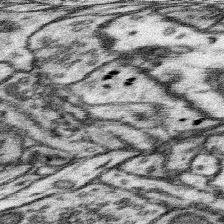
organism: Mouse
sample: Somatosensory cortex neuropil